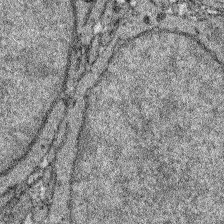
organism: Zebrafish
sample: Larval olfactory bulb